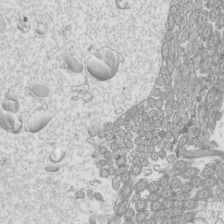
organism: Mouse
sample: Cilia; mouse epididymis